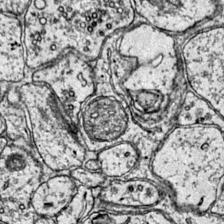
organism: Mouse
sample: Primary visual cortex